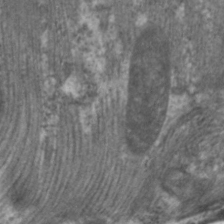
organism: C. elegans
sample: Pharynx